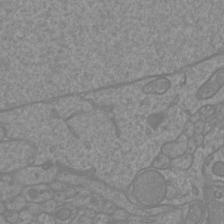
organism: Mouse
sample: Cortical neurons